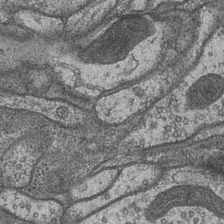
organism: Drosophila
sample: Optic medulla